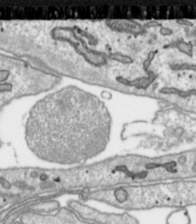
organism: Toxoplasma gondii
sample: Parasites in a vacuole inside a host cell